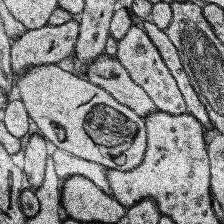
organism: Human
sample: Temporal Lobe